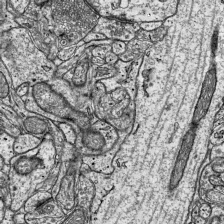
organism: Mouse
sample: Visual Cortex